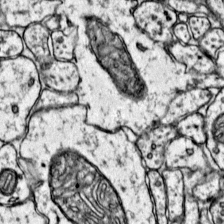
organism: Mouse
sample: Primary visual cortex